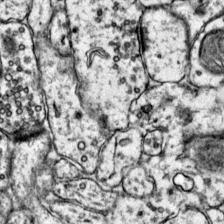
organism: Mouse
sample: Primary visual cortex